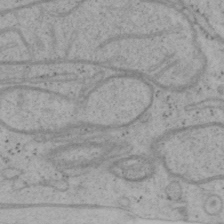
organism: Human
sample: HeLa cells